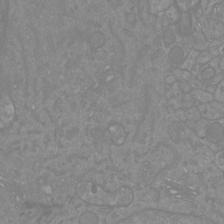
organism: Mouse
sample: Cortical neurons